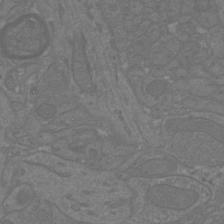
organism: Mouse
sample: Cortical neurons